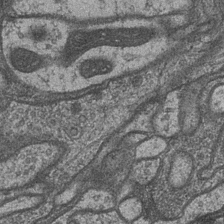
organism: Drosophila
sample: Optic medulla